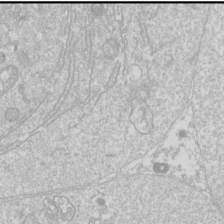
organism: Drosophila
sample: Cell division; meiosis; drosophila spermatocytes